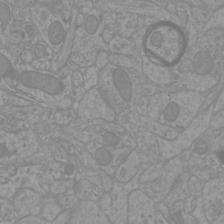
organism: Mouse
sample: Cortical neurons